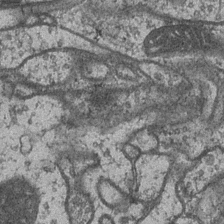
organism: Drosophila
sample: Optic medulla